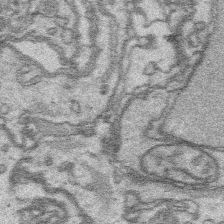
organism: Platynereis dumerilii